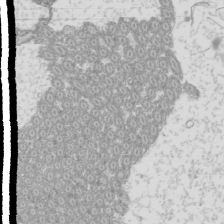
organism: Mouse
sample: Cilia; mouse epididymis